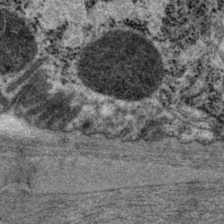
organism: P. pacificus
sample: Pharynx